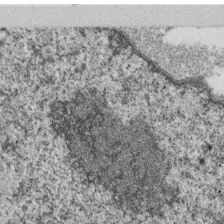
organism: African green monkey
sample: Vero E6 cells infected with SARS-CoV-2